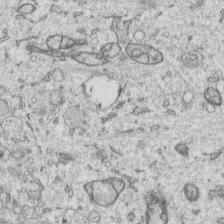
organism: Human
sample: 1205lu cells